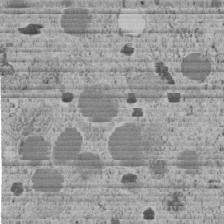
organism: C. elegans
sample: C. elegans embryo early stage